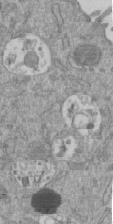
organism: Mouse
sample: ED-1 cell nuclei; centrioles